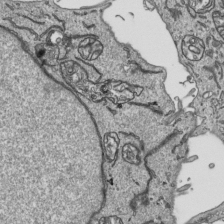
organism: Human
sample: Mitochondria in HCT116 cells